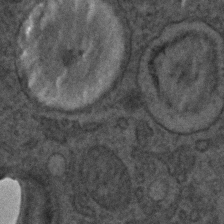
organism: C. elegans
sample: C. elegans embryo